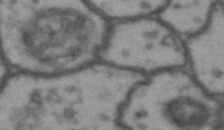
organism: Drosophila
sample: Brain